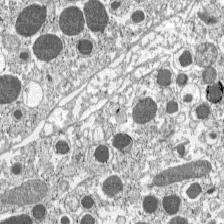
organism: C57BL Mouse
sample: Pancreatic islet